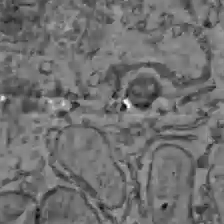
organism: C57BL Mouse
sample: Liver